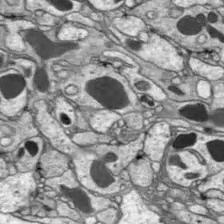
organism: Drosophila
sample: Optic lobe